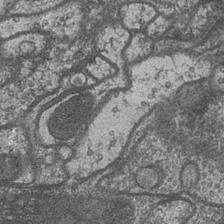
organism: Drosophila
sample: Optic medulla